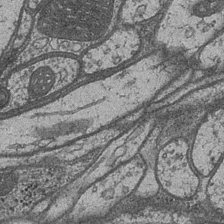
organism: Drosophila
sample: Optic medulla